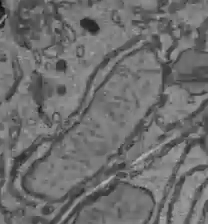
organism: C57BL Mouse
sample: Liver